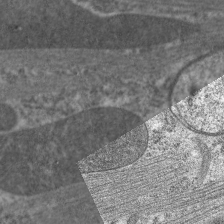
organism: C. elegans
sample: Pharynx